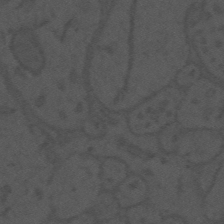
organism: Mouse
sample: Suprachiasmatic nucleus